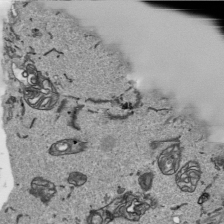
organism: Human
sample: Mitochondria in HCT116 cells